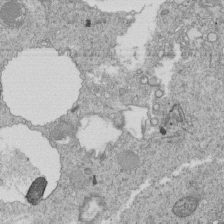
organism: Tetrahymena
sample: Cilia in tetrahymena